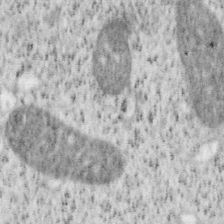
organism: Mouse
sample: OT-I killer T cells with ID8 ovarian cancer cells